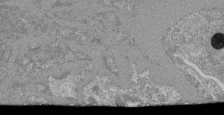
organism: Mouse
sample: Glomerulus